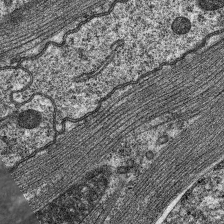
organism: C. elegans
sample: Pharynx